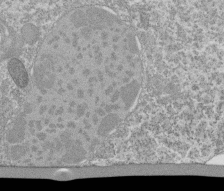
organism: Tetrahymena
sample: Cilia in tetrahymena